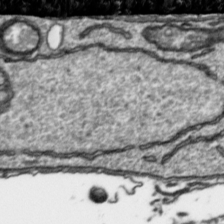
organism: Toxoplasma gondii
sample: Parasites in a vacuole inside a host cell